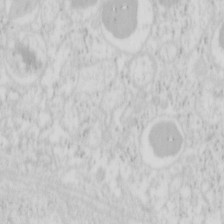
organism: Mouse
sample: Pancreas